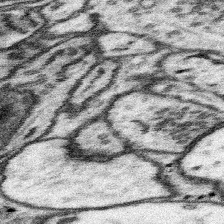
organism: Mouse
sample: Somatosensory cortex neuropil